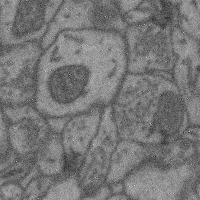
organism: Mouse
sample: Cerebral cortex